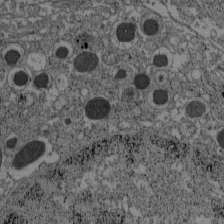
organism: C57BL Mouse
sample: Pancreatic islet